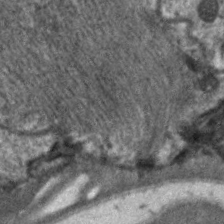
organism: C. elegans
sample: Pharynx